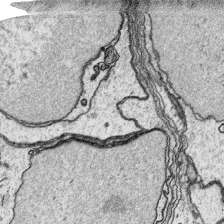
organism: Platynereis dumerilii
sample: Parapodia